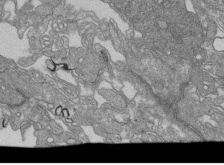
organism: Human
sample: Retinal organoid Rod and Cone cells